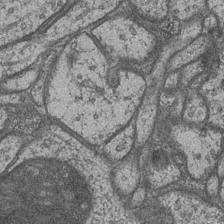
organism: Drosophila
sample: Optic medulla